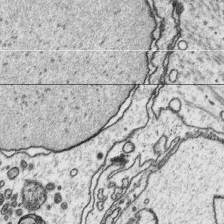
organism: Platynereis dumerilii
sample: Parapodia